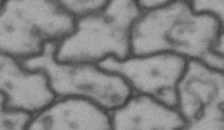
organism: Drosophila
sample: Brain